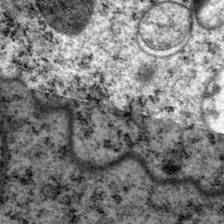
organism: P. pacificus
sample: Pharynx